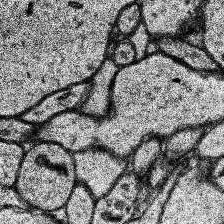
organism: Human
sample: Temporal Lobe